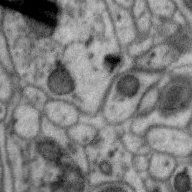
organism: Zebra finch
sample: Brain